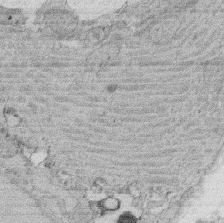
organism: Rat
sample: Salivary granule